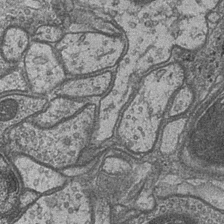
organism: Drosophila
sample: Optic medulla